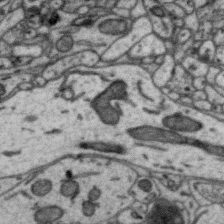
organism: Zebra finch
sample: Brain